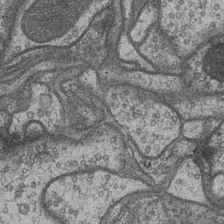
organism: Drosophila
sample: Optic medulla